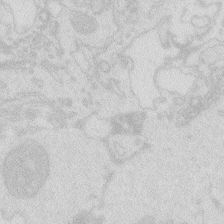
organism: Zebrafish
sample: Macrophage